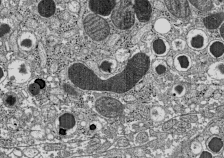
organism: C57BL Mouse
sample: Pancreatic islet